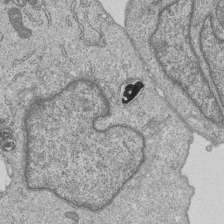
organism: Human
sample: MDA-MB-231 cells